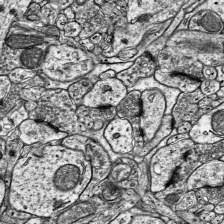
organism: Mouse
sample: Visual Cortex